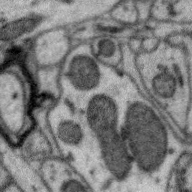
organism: Zebra finch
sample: Brain